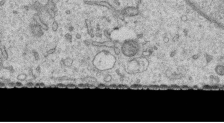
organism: Human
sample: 1205lu cells